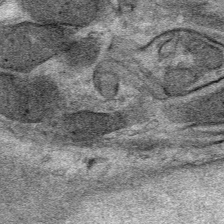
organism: Mouse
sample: Mouse Salivary gland